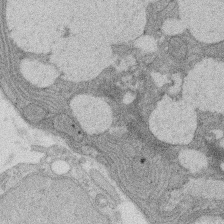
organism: Rat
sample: Salivary granule